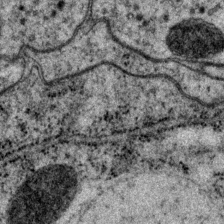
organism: P. pacificus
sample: Pharynx